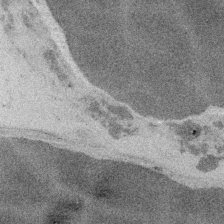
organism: Embia sp.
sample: Silk gland